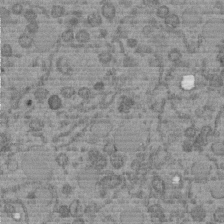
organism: C. elegans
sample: C. elegans embryo early stage